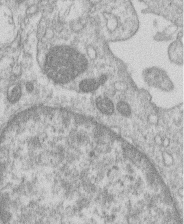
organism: Human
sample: Macrophage cells